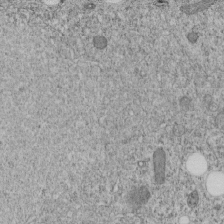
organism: C. elegans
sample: C. elegans embryo early stage